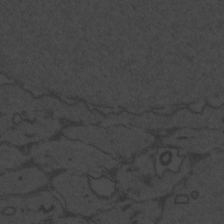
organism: Zebrafish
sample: Macrophage infected with Toxoplasma gondii